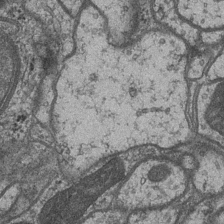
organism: Drosophila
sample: Optic medulla